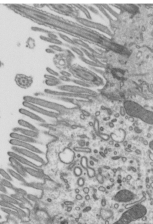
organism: Mouse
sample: Mouse epididymis efferent ductule cilia